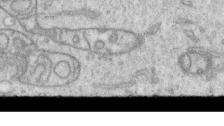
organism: Human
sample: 1205lu cells